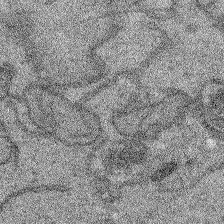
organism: Human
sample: HeLa cells